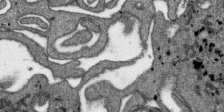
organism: Human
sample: Lung epithelial cells, uninfected (mock) control